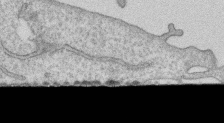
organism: Human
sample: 1205lu cells